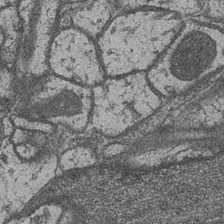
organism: Drosophila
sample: Optic medulla